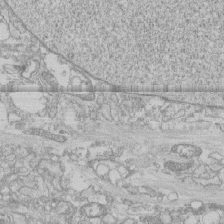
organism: Human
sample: CRL-1474